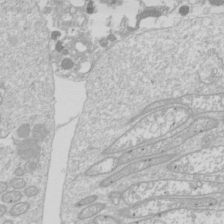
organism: Drosophila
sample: Cell division; meiosis; drosophila spermatocytes